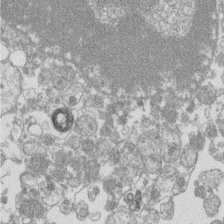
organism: Human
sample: HeLa cell HIV synapse